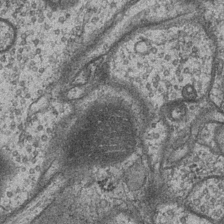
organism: Drosophila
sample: Optic medulla